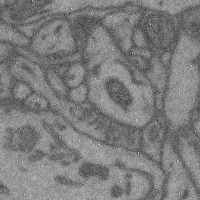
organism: Mouse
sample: Cerebral cortex